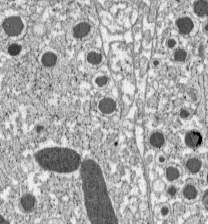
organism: C57BL Mouse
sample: Pancreatic islet